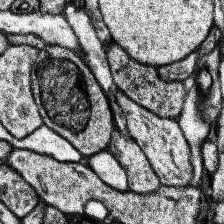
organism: Human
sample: Temporal Lobe